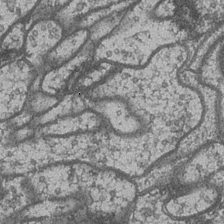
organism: Drosophila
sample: Optic medulla